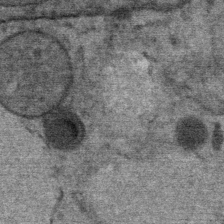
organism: Mouse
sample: Mouse Salivary gland